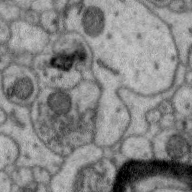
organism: Zebra finch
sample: Brain